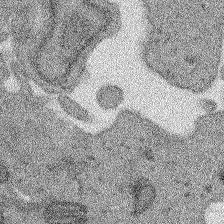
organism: Human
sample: HeLa cells